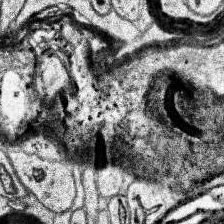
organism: Human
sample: Temporal Lobe